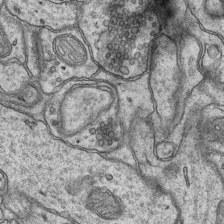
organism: Mouse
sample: CA1 Hippocampus